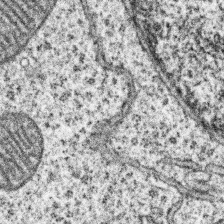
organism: Human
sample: HeLa cells